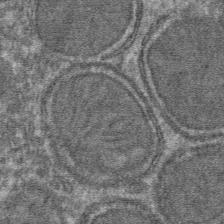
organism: Mouse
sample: Mouse hepatocytes